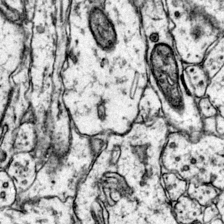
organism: Mouse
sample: Primary visual cortex